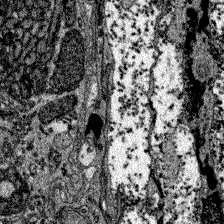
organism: Zebrafish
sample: Larval olfactory bulb